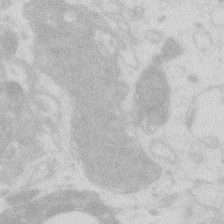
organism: Zebrafish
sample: Macrophage